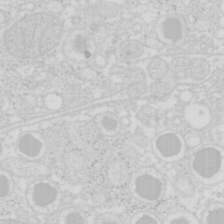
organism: Mouse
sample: Pancreas